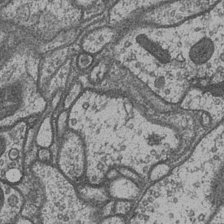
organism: Drosophila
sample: Optic medulla